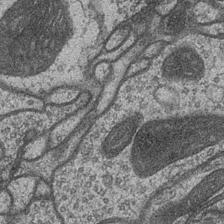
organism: Drosophila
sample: Optic medulla